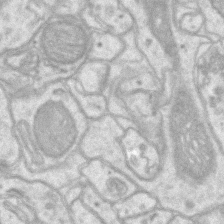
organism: Mouse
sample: CA1 Hippocampus